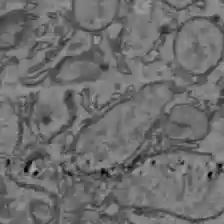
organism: C57BL Mouse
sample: Liver